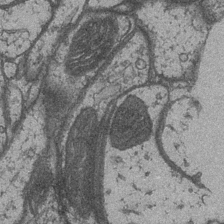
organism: Drosophila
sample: Optic medulla